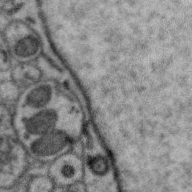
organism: Zebra finch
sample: Brain